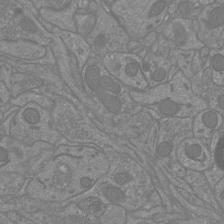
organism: Mouse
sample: Cortical neurons